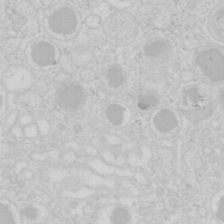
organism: Mouse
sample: Pancreas